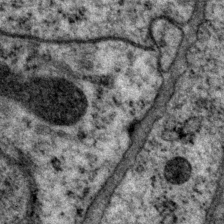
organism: P. pacificus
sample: Pharynx